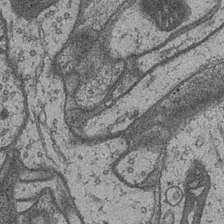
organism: Drosophila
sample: Optic medulla